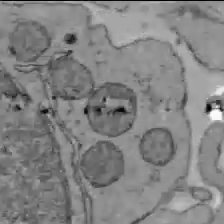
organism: C57BL Mouse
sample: Liver